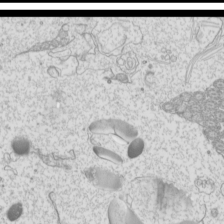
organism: Mouse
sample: Cilia; mouse epididymis